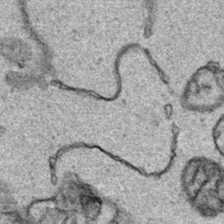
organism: Human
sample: Mitochondria in HCT116 cells